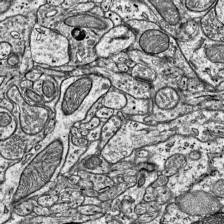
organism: Mouse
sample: Visual Cortex